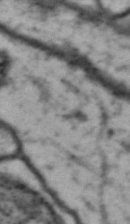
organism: Drosophila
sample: Brain